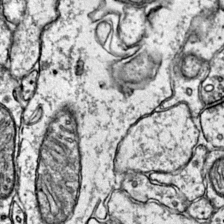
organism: Mouse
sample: Primary visual cortex